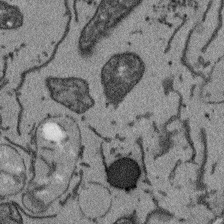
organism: Arabidopsis thaliana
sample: Root tip